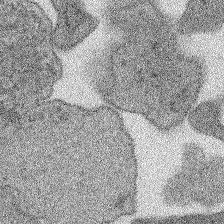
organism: Human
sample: HeLa cells